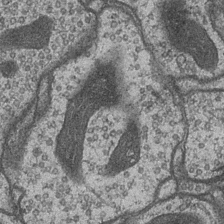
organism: Drosophila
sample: Optic medulla